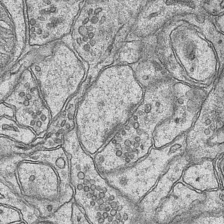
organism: Mouse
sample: CA1 Hippocampus